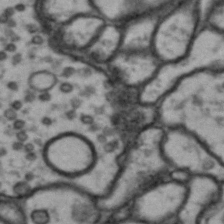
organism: Drosophila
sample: Brain